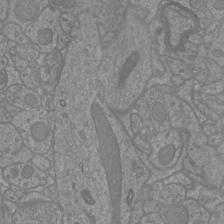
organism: Mouse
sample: Cortical neurons